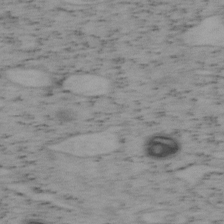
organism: Mouse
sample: OT-I killer T cells with ID8 ovarian cancer cells